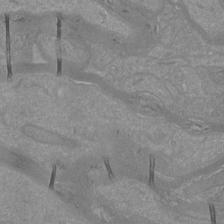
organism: Mouse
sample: Cortical neurons